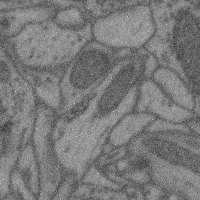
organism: Mouse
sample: Cerebral cortex